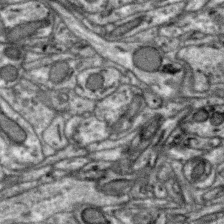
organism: Zebra finch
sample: Brain